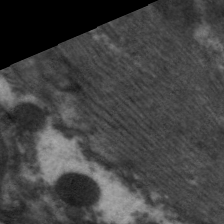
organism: C. elegans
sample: Pharynx